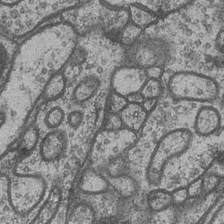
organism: Drosophila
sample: Optic medulla